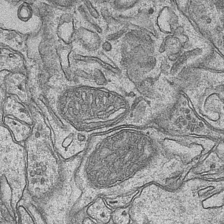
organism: Mouse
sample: CA1 Hippocampus